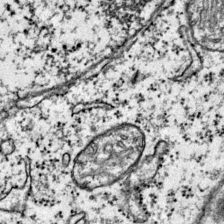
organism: Mouse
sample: Primary visual cortex